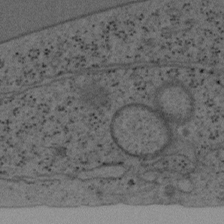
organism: Human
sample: HeLa cells